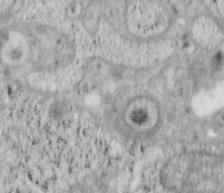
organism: Mouse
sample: OT-I killer T cells with ID8 ovarian cancer cells